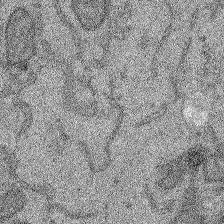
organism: Human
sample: HeLa cells